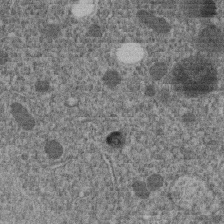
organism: C. elegans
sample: C. elegans embryo early stage